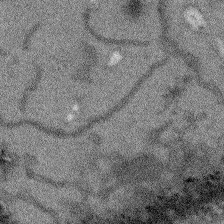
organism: Arabidopsis thaliana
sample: Root tip